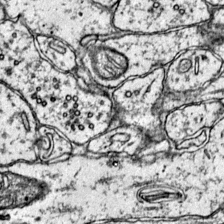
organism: Mouse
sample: Primary visual cortex